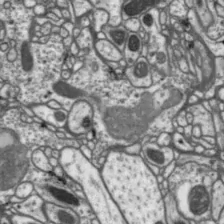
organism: Drosophila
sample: Protocerebral bridge